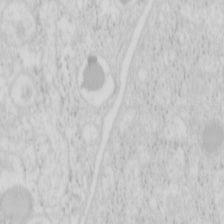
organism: Mouse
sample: Pancreas